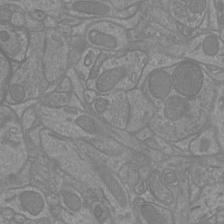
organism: Mouse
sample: Cortical neurons